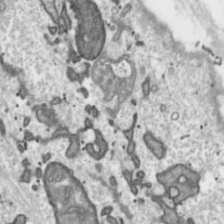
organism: Toxoplasma gondii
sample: Parasites in a vacuole inside a host cell